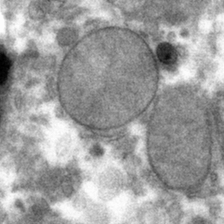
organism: Mouse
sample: Mouse hepatocytes